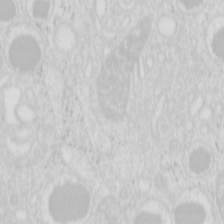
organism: Mouse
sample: Pancreas